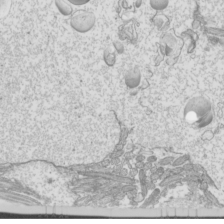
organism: Mouse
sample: Cilia; mouse epididymis